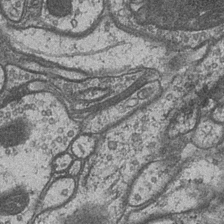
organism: Drosophila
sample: Optic medulla